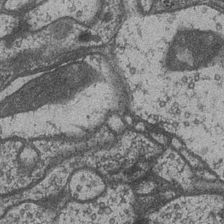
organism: Drosophila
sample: Optic medulla